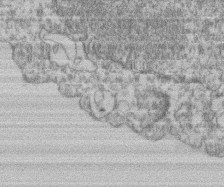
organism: Mouse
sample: T cell stromal cell synapse